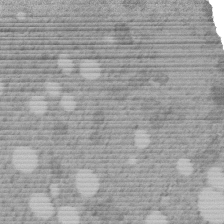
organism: C. elegans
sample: C. elegans embryo early stage